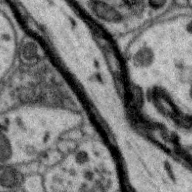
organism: Zebra finch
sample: Brain